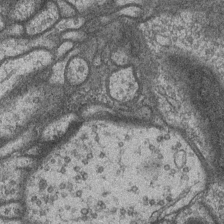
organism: Drosophila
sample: Optic medulla